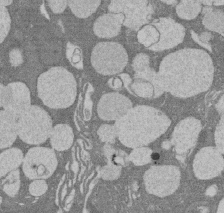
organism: Rat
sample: Salivary granule